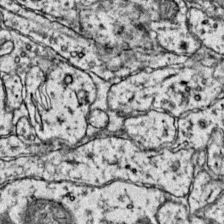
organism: Mouse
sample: Primary visual cortex